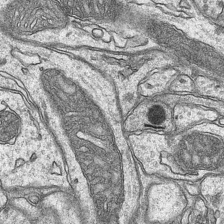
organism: Mouse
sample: CA1 Hippocampus